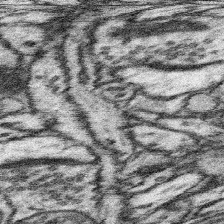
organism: Mouse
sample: Somatosensory cortex neuropil